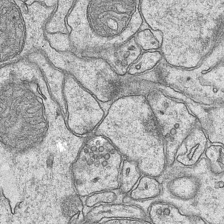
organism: Mouse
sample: CA1 Hippocampus